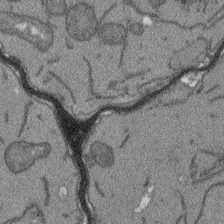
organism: Arabidopsis thaliana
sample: Root tip